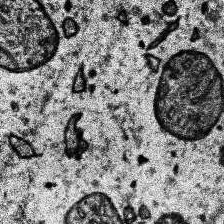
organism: Human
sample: Temporal Lobe